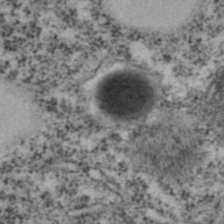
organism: C. elegans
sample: C. elegans embryo